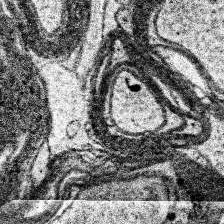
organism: Human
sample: Temporal Lobe